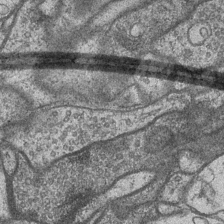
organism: Drosophila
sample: Optic medulla